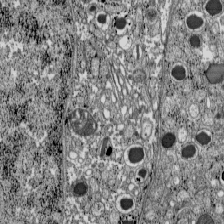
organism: C57BL Mouse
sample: Pancreatic islet